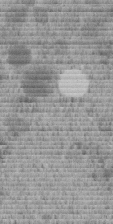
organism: C. elegans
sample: C. elegans embryo early stage